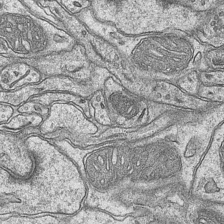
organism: Mouse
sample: CA1 Hippocampus